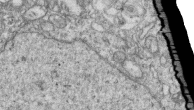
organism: Human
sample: HeLa cell HIV synapse